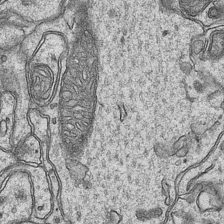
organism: Mouse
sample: CA1 Hippocampus